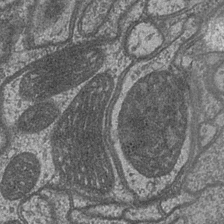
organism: Drosophila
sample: Optic medulla